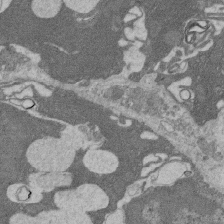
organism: Rat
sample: Salivary granule